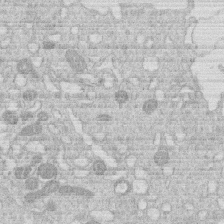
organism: Human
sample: Macrophage cells